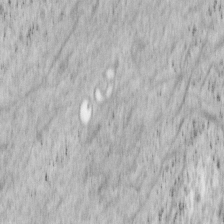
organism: Human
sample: HeLa cells